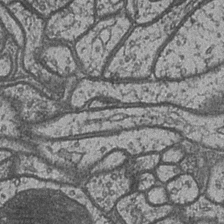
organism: Drosophila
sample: Optic medulla